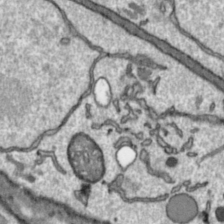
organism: Toxoplasma gondii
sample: Parasites in a vacuole inside a host cell